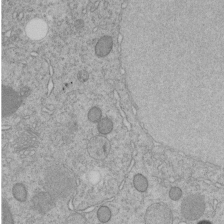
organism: C. elegans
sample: C. elegans embryo early stage